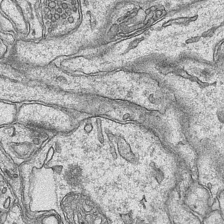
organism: Mouse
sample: CA1 Hippocampus